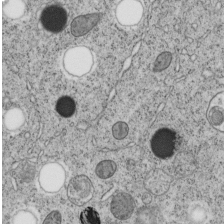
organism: C. elegans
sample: C. elegans embryo early stage